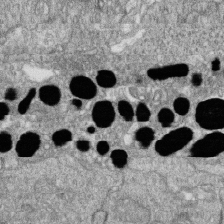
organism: Zebrafish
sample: Cilia; retinal pigment epithelium